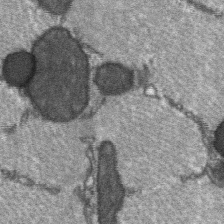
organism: C57BL Mouse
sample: Soleus